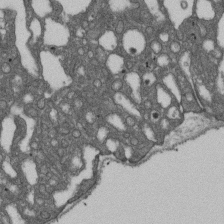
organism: Drosophila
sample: Nephrocyte